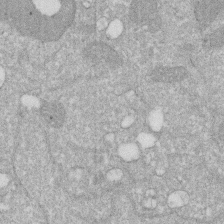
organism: Human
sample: HIV infected U937 cells